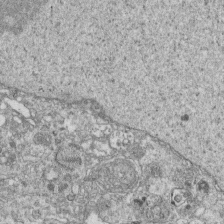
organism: Human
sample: HeLa cell HIV synapse